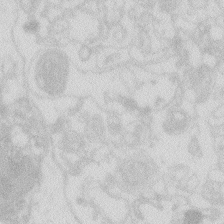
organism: Zebrafish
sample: Macrophage